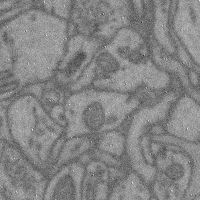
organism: Mouse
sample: Cerebral cortex